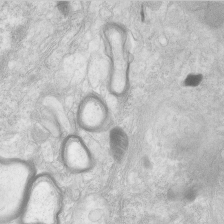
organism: Human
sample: Neocortex